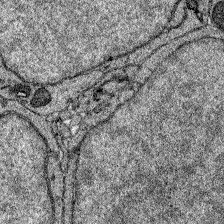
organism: Zebrafish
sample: Larval olfactory bulb